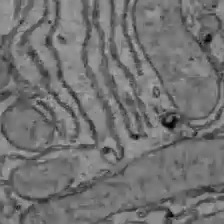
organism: C57BL Mouse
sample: Liver